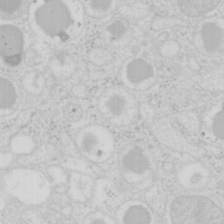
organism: Mouse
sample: Pancreas